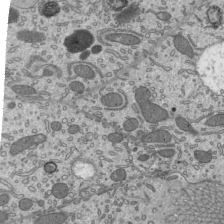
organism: Mouse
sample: Mouse epididymis efferent ductule cilia